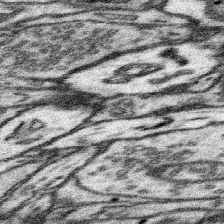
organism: Mouse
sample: Somatosensory cortex neuropil